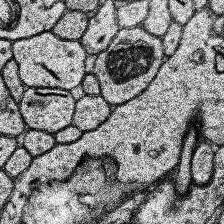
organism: Human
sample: Temporal Lobe